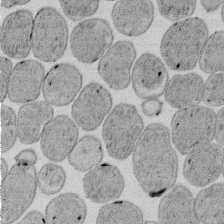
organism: E. coli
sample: Bacterial nucleoid